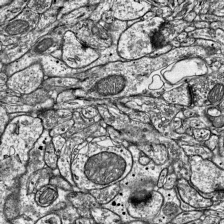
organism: Mouse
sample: Visual Cortex